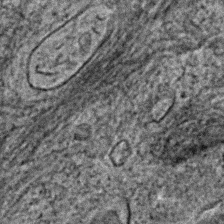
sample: Trachea